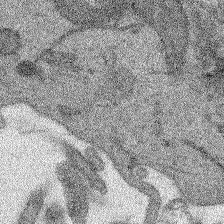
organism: Human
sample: HeLa cells